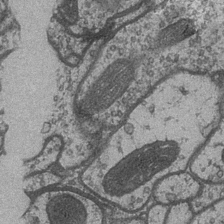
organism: Drosophila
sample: Optic medulla